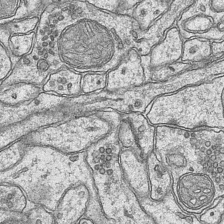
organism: Mouse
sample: CA1 Hippocampus